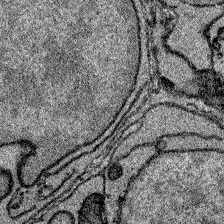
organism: Zebrafish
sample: Larval olfactory bulb